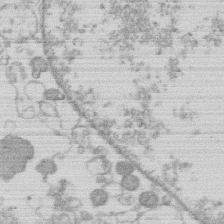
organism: Human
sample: Macrophage cells